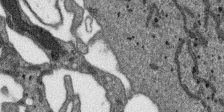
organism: Human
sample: Lung epithelial cells infected with SARS-CoV-2